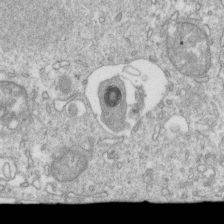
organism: Mouse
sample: Activated OT-1 CD8+ T cells